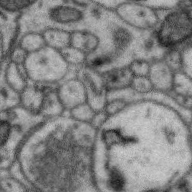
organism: Zebra finch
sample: Brain